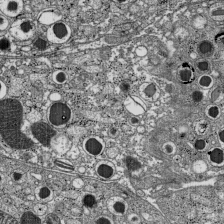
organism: C57BL Mouse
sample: Pancreatic islet